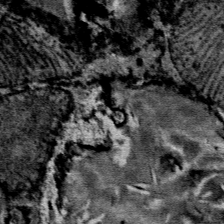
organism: Mouse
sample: Mouse Salivary gland